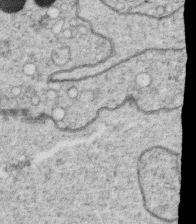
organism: C. elegans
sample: C. elegans oocyte; sperm cells